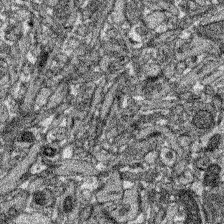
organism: Zebrafish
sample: Larval olfactory bulb